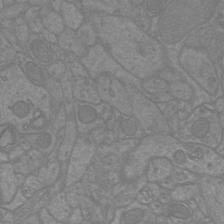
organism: Mouse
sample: Cortical neurons